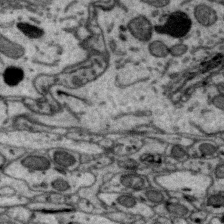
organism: Zebra finch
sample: Brain